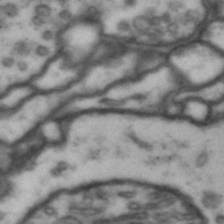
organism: Drosophila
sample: Brain